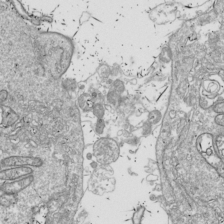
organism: Drosophila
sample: Cell division; meiosis; drosophila spermatocytes